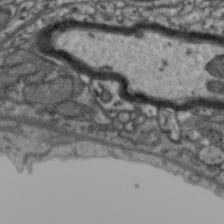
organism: Zebra finch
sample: Brain